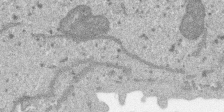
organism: Human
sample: Lung epithelial cells infected with SARS-CoV-2